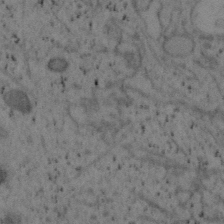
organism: Human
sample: HeLa cells